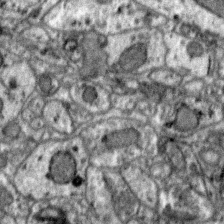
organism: Zebra finch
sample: Brain